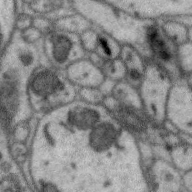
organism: Zebra finch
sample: Brain